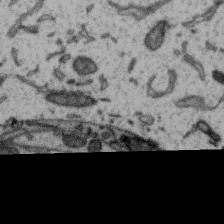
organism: Zebra finch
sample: Brain